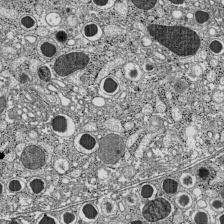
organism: C57BL Mouse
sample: Pancreatic islet